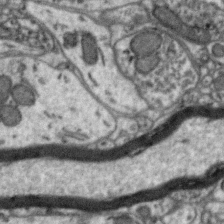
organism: Zebra finch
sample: Brain